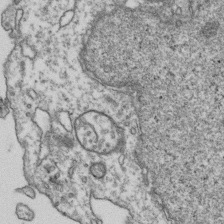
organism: Human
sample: Activated Jurkat CD4+ T cells